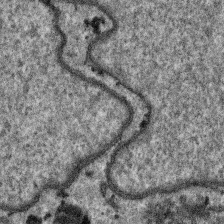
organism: Human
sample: Lung epithelial cells infected with SARS-CoV-2